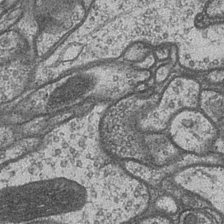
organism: Drosophila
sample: Optic medulla